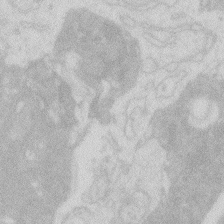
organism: Zebrafish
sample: Macrophage